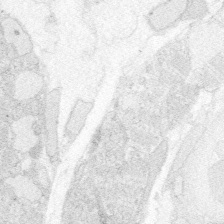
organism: Zebrafish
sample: Whole-Brain